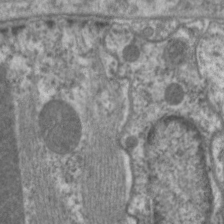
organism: C. elegans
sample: Pharynx